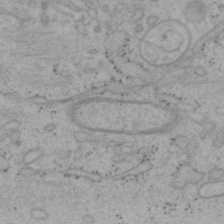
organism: Human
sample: HeLa cells